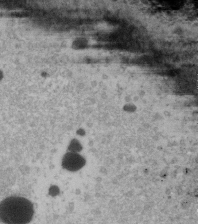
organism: Human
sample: U2-OS cells